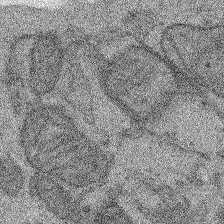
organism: Human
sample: HeLa cells